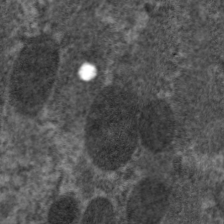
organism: C. elegans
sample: Pharynx